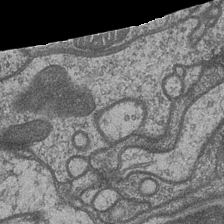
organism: Drosophila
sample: Optic medulla